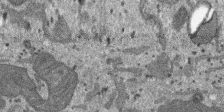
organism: Human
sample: Lung epithelial cells infected with SARS-CoV-2